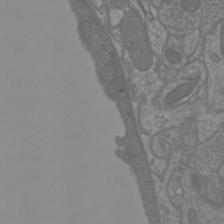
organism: Mouse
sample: Cortical neurons